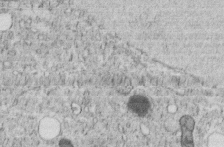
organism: C. elegans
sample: C. elegans embryo early stage